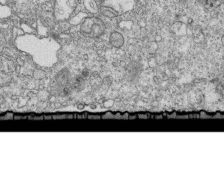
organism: Human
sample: HeLa cell HIV synapse